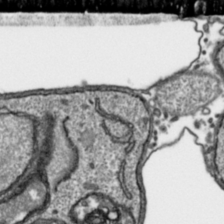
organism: Toxoplasma gondii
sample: Parasites in a vacuole inside a host cell